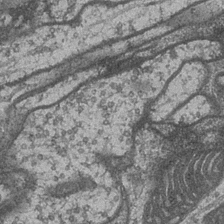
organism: Drosophila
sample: Optic medulla